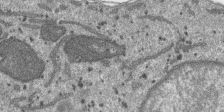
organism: Human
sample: Lung epithelial cells infected with SARS-CoV-2